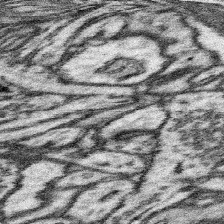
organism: Mouse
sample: Somatosensory cortex neuropil